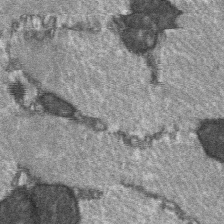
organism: C57BL Mouse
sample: Soleus